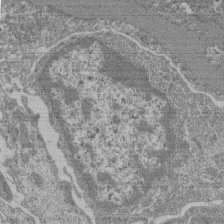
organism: Mouse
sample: Glomerulus